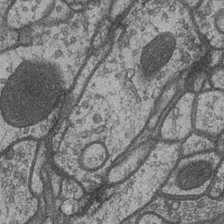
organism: Drosophila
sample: Optic medulla